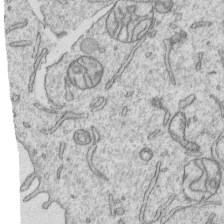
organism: Human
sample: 1205lu cells